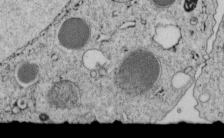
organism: C. elegans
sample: C. elegans embryo early stage